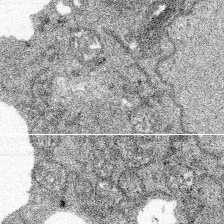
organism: Spongilla lacustris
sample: Multiple